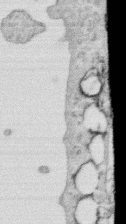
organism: Human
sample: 1205lu cells